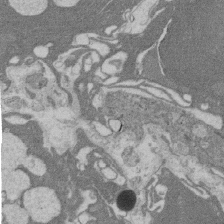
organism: Rat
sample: Salivary granule